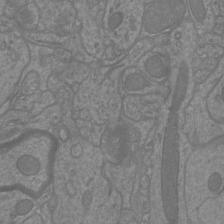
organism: Mouse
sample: Cortical neurons